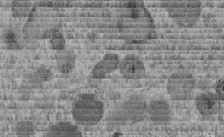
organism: C. elegans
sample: C. elegans embryo early stage